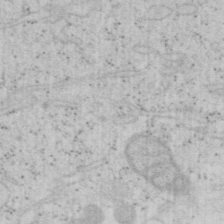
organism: Human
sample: HeLa cells